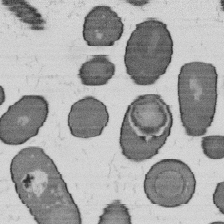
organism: B. subtilis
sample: Bacterial spore